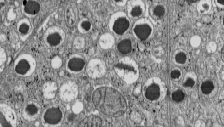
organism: C57BL Mouse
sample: Pancreatic islet